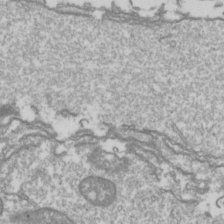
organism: Drosophila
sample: Cell division; meiosis; drosophila spermatocytes